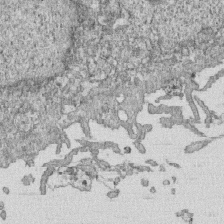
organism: Human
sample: HeLa cell HIV synapse